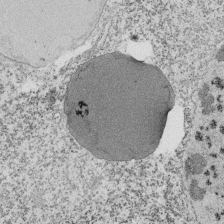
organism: Tetrahymena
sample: Cilia in tetrahymena